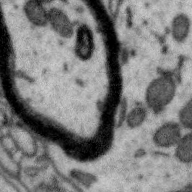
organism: Zebra finch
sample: Brain